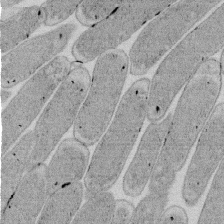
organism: E. coli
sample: Bacterial nucleoid